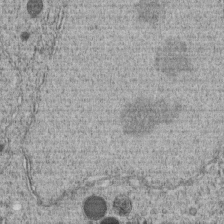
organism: C. elegans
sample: C. elegans embryo early stage